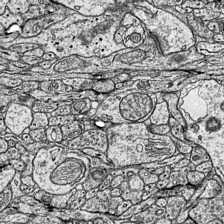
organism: Mouse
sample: Visual Cortex